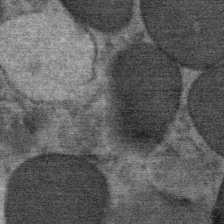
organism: Mouse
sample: Mouse Salivary gland